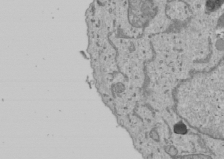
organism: Human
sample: Mitochondria in U2OS cells